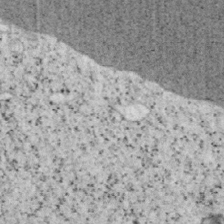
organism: Mouse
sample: OT-I killer T cells with ID8 ovarian cancer cells